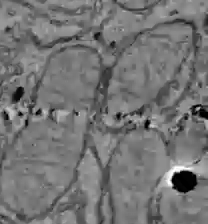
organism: C57BL Mouse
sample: Liver